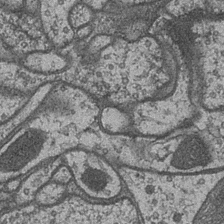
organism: Drosophila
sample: Optic medulla